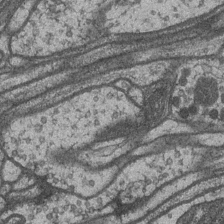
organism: Drosophila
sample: Optic medulla